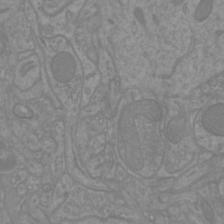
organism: Mouse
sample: Cortical neurons